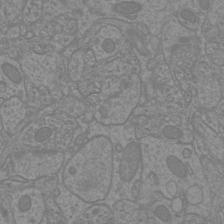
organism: Mouse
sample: Cortical neurons